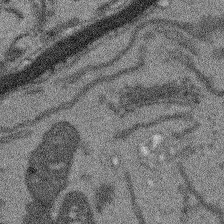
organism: Arabidopsis thaliana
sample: Root tip